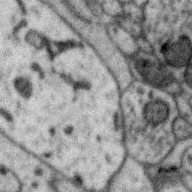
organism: Zebra finch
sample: Brain